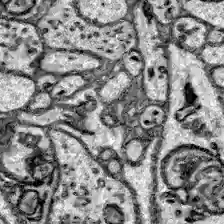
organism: Zebrafish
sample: Brain